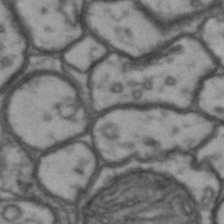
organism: Drosophila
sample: Brain